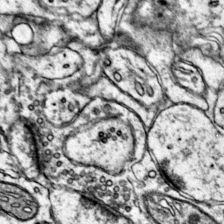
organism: Mouse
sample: Primary visual cortex